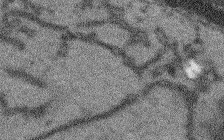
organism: Arabidopsis thaliana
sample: Root tip